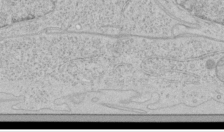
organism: Human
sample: Mitochondria in HCT116 cells